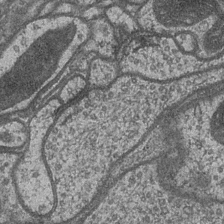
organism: Drosophila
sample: Optic medulla